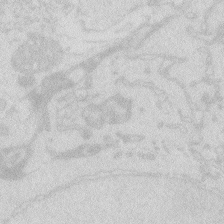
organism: Zebrafish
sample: Macrophage